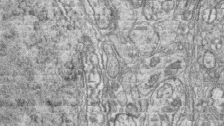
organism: Zebrafish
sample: synaptic ribbons in rod cells and cone cells